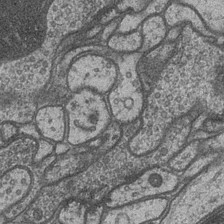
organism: Drosophila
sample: Optic medulla